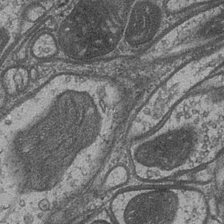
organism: Drosophila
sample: Optic medulla